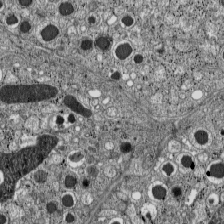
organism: C57BL Mouse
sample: Pancreatic islet